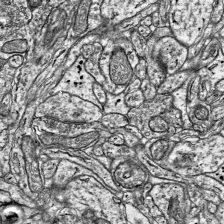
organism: Mouse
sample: Visual Cortex